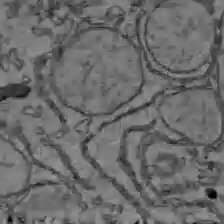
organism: C57BL Mouse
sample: Liver